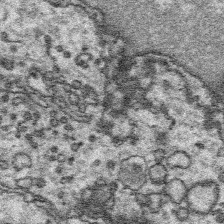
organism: Platynereis dumerilii